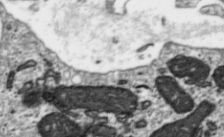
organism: Toxoplasma gondii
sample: Parasites in a vacuole inside a host cell